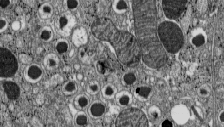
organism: C57BL Mouse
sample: Pancreatic islet